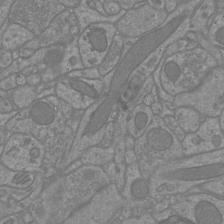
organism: Mouse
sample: Cortical neurons